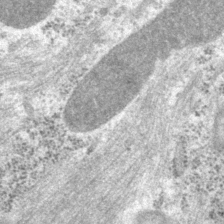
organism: P. pacificus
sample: Pharynx